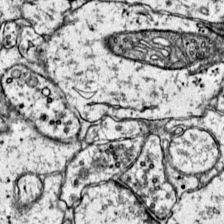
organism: Mouse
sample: Primary visual cortex